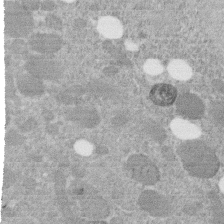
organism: C. elegans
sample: C. elegans embryo early stage